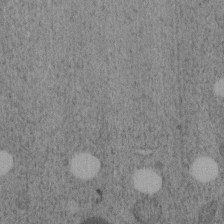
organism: C. elegans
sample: C. elegans embryo early stage